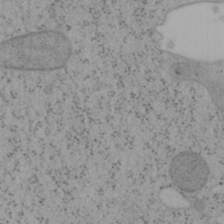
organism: Mouse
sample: OT-I killer T cells with ID8 ovarian cancer cells